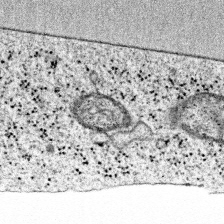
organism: Human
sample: HeLa cells